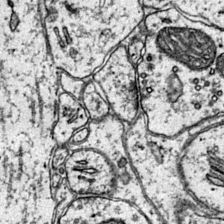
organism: Mouse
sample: Primary visual cortex